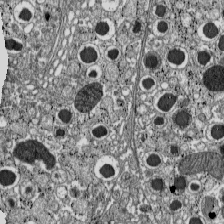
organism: C57BL Mouse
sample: Pancreatic islet